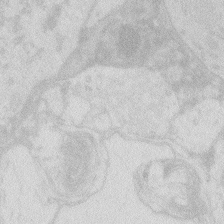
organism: Zebrafish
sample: Macrophage